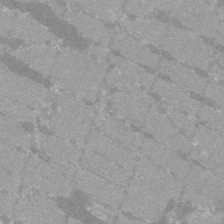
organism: C57BL Mouse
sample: Tibialis anterior muscle cell